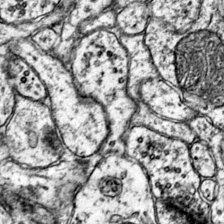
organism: Mouse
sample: Primary visual cortex